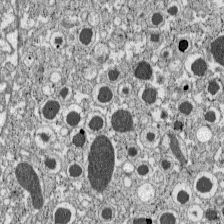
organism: C57BL Mouse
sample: Pancreatic islet